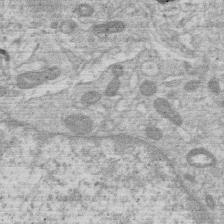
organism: Human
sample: Macrophage cells